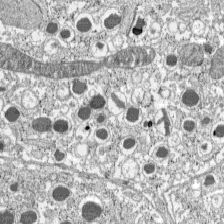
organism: C57BL Mouse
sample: Pancreatic islet